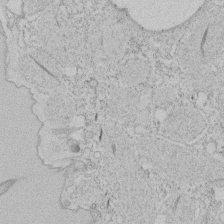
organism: Tetrahymena